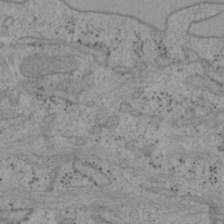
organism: Human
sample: HeLa cells